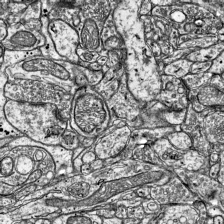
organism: Mouse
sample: Visual Cortex